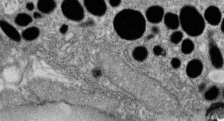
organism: Zebrafish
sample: Cilia; retinal pigment epithelium